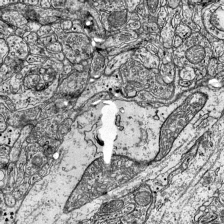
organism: Mouse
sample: Visual Cortex